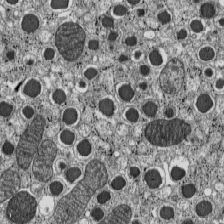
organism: C57BL Mouse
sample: Pancreatic islet